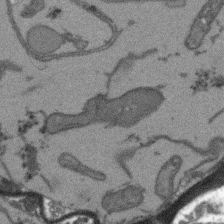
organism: Arabidopsis thaliana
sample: Root tip